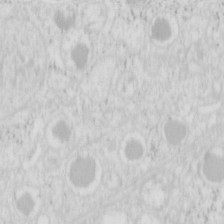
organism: Mouse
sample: Pancreas